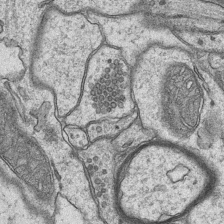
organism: Mouse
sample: CA1 Hippocampus